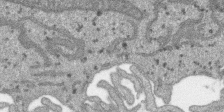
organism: Human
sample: Lung epithelial cells infected with SARS-CoV-2